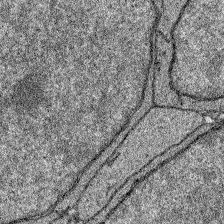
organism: Zebrafish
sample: Larval olfactory bulb